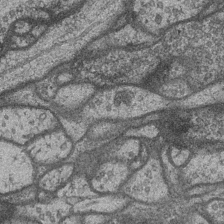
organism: Drosophila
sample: Optic medulla